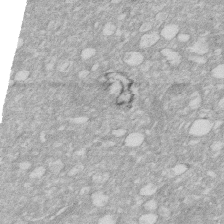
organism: Human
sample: HIV infected U937 cells